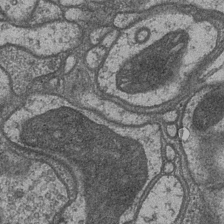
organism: Drosophila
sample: Optic medulla